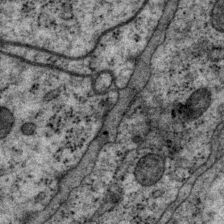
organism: P. pacificus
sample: Pharynx